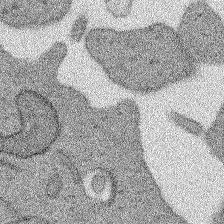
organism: Human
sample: HeLa cells